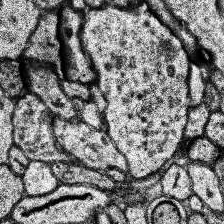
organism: Human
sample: Temporal Lobe